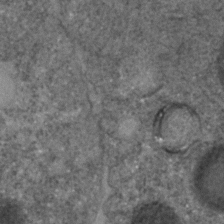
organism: C. elegans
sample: C. elegans embryo